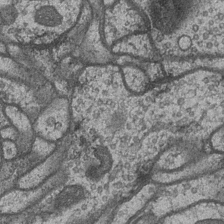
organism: Drosophila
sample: Optic medulla